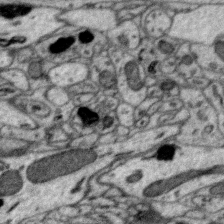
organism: Zebra finch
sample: Brain